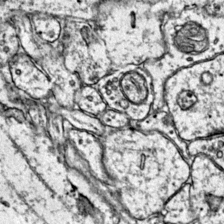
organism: Mouse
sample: Primary visual cortex